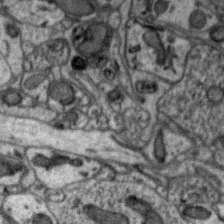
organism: Zebra finch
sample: Brain